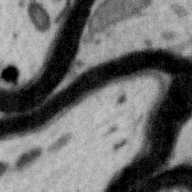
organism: Zebra finch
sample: Brain